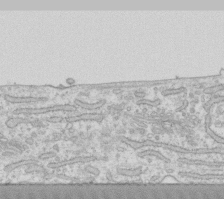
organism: Human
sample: Fibroblast cells